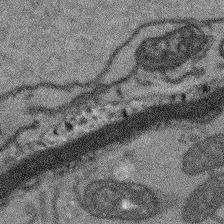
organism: Arabidopsis thaliana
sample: Root tip